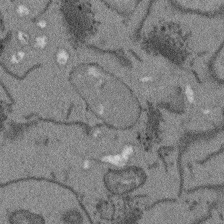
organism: Arabidopsis thaliana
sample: Root tip